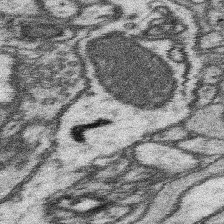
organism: Mouse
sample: Somatosensory cortex neuropil